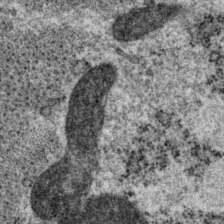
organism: P. pacificus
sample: Pharynx